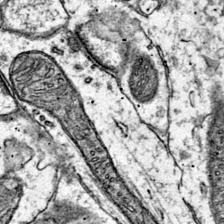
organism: Mouse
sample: Primary visual cortex